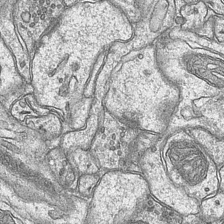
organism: Mouse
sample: CA1 Hippocampus